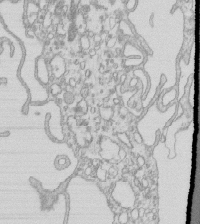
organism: Mouse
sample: Macrophages